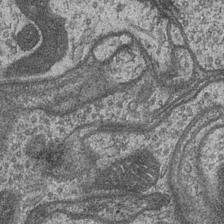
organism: Drosophila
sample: Optic medulla